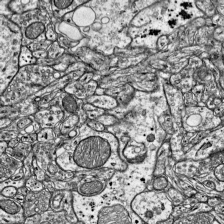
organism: Mouse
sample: Visual Cortex